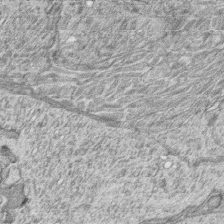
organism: Zebrafish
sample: synaptic ribbons in rod cells and cone cells